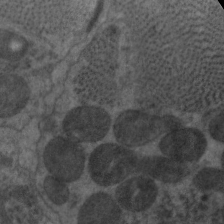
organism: C. elegans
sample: Pharynx